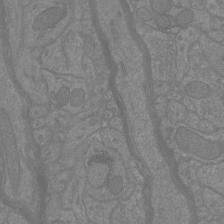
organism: Mouse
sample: Cortical neurons